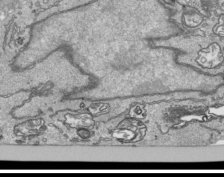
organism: Human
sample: Mitochondria in HCT116 cells